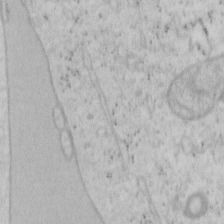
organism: Human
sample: HeLa cells